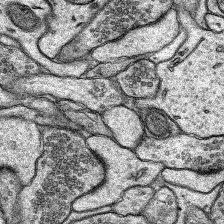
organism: Rat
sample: Hippocampus